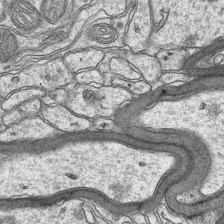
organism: Mouse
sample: CA1 Hippocampus